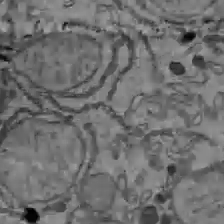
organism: C57BL Mouse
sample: Liver